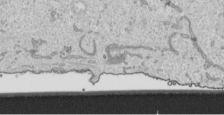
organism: Human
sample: Mitochondria in HCT116 cells